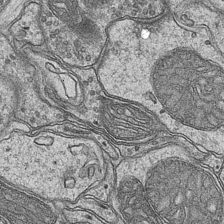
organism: Mouse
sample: CA1 Hippocampus